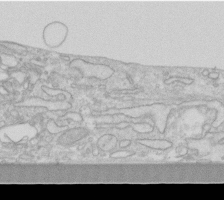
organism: Human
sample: Fibroblast cells